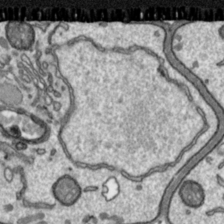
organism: Toxoplasma gondii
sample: Parasites in a vacuole inside a host cell